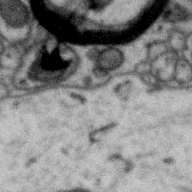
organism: Zebra finch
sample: Brain